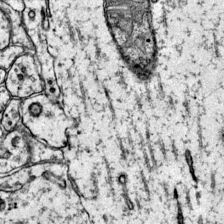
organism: Mouse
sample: Primary visual cortex